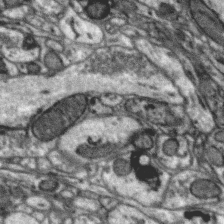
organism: Zebra finch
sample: Brain